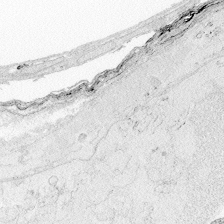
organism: Zebrafish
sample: Whole-Brain